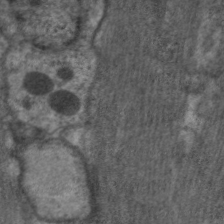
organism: C. elegans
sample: Pharynx